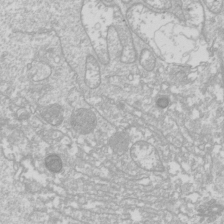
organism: Drosophila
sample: Cell division; meiosis; drosophila spermatocytes